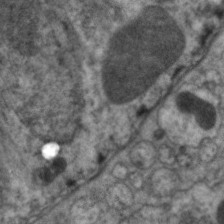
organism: C. elegans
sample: Pharynx